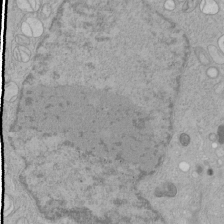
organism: Human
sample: Mitochondria in HCT116 cells